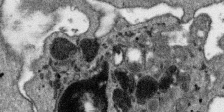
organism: Human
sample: Lung epithelial cells, uninfected (mock) control